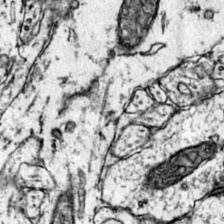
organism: Mouse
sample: Primary visual cortex